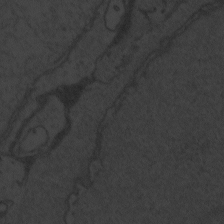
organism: Zebrafish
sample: Macrophage infected with Toxoplasma gondii